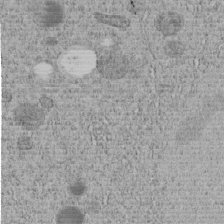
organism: C. elegans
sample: C. elegans embryo early stage